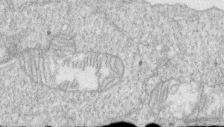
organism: Human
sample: HeLa cell HIV synapse